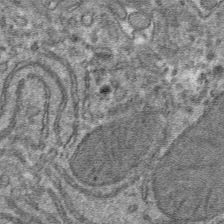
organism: Mouse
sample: Mouse hepatocytes